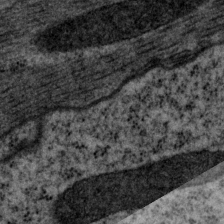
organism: P. pacificus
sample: Pharynx